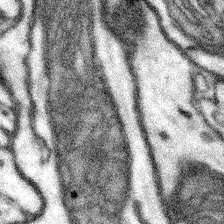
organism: Mouse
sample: Somatosensory cortex neuropil